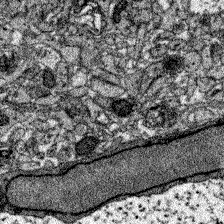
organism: Zebrafish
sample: Larval olfactory bulb